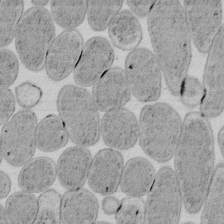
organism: E. coli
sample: Bacterial nucleoid